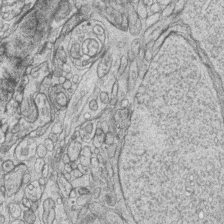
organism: Zebrafish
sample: synaptic ribbons in rod cells and cone cells